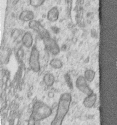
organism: Human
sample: Centriole in RPE cells